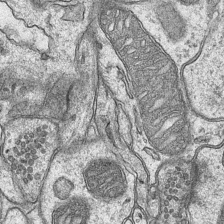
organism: Mouse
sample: CA1 Hippocampus